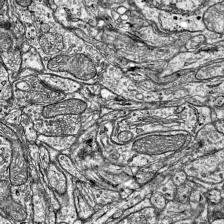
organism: Mouse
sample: Visual Cortex